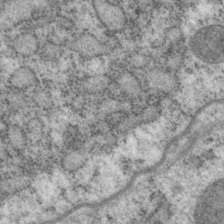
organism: P. pacificus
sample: Pharynx